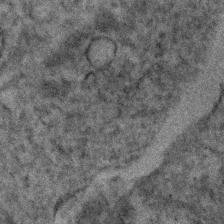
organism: Human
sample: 1205lu cells